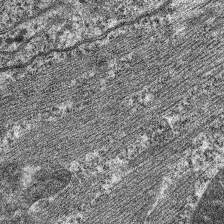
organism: C. elegans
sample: Pharynx